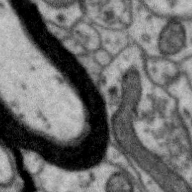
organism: Zebra finch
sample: Brain